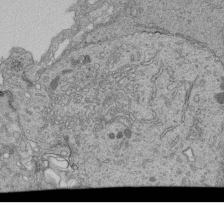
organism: Human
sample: Retinal organoid Rod and Cone cells